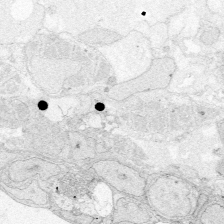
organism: Zebrafish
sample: Whole-Brain